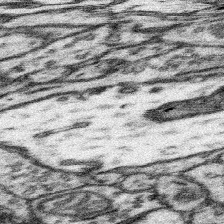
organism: Mouse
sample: Somatosensory cortex neuropil